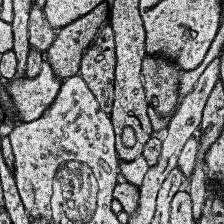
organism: Human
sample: Temporal Lobe